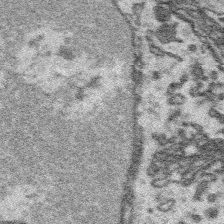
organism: Platynereis dumerilii